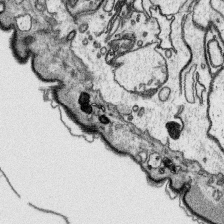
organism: Platynereis dumerilii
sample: Parapodia